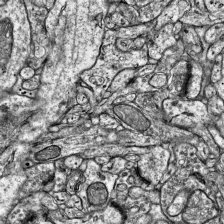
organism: Mouse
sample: Visual Cortex